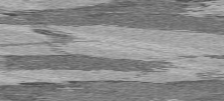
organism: C57BL Mouse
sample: Heart